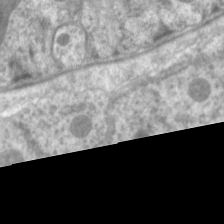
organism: C. elegans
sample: Pharynx